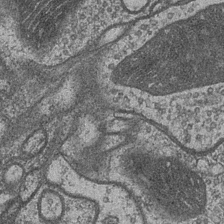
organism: Drosophila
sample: Optic medulla